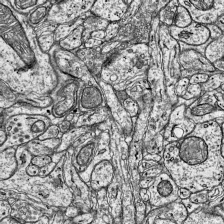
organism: Mouse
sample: Visual Cortex